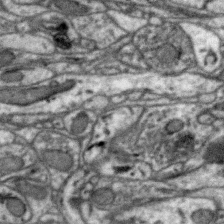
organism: Zebra finch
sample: Brain